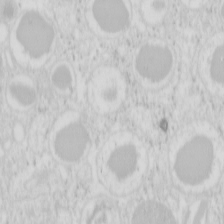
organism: Mouse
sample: Pancreas